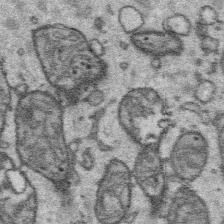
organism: Platynereis dumerilii